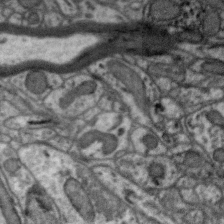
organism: Zebra finch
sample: Brain